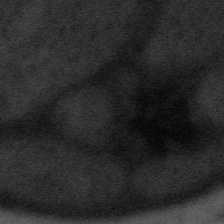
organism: Tuwongella immobilis